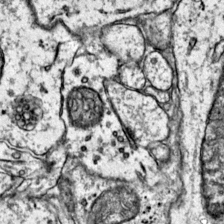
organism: Mouse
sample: Primary visual cortex